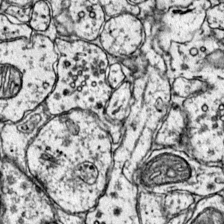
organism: Mouse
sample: Primary visual cortex